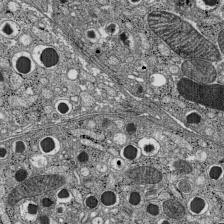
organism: C57BL Mouse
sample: Pancreatic islet